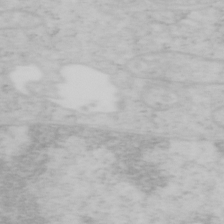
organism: Mouse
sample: OT-I killer T cells with ID8 ovarian cancer cells